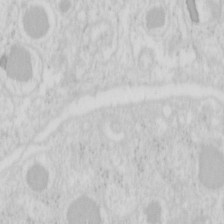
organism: Mouse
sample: Pancreas